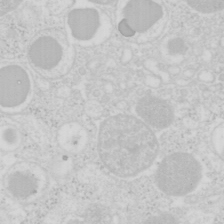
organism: Mouse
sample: Pancreas